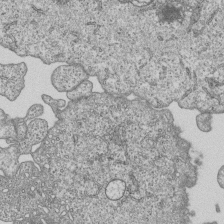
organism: Human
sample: MDA-MB-231 cells